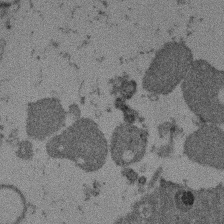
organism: Mouse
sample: Dividing mouse embryo 1 cell stage